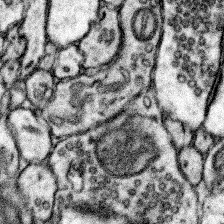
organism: Mouse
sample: Somatosensory cortex neuropil